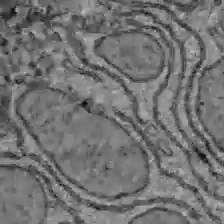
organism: C57BL Mouse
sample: Liver